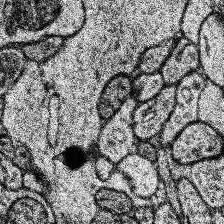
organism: Human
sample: Temporal Lobe